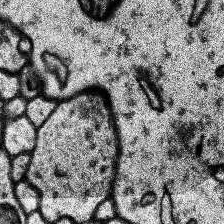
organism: Human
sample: Temporal Lobe